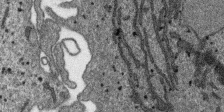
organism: Human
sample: Lung epithelial cells infected with SARS-CoV-2